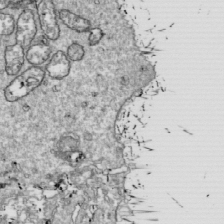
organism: Drosophila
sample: Cell division; meiosis; drosophila spermatocytes